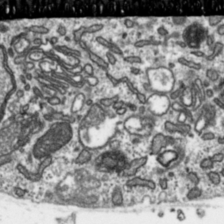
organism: Toxoplasma gondii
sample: Parasites in a vacuole inside a host cell